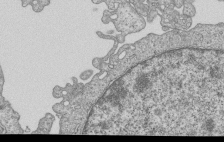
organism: Human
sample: MDA-MB-231 cells